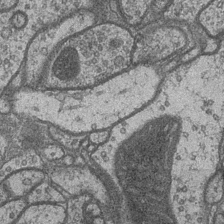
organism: Drosophila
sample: Optic medulla